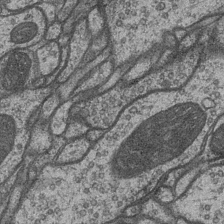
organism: Drosophila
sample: Optic medulla